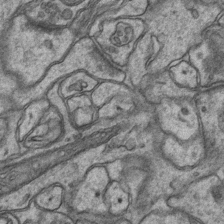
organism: Mouse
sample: CA1 Hippocampus